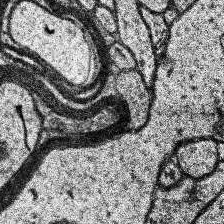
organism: Human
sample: Temporal Lobe